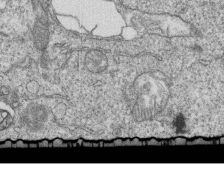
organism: Human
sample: HeLa cell HIV synapse